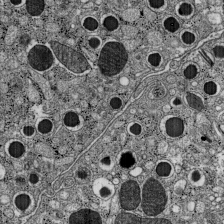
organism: C57BL Mouse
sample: Pancreatic islet